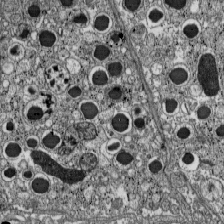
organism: C57BL Mouse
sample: Pancreatic islet